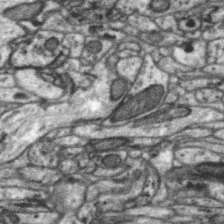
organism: Zebra finch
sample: Brain